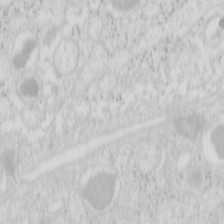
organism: Mouse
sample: Pancreas